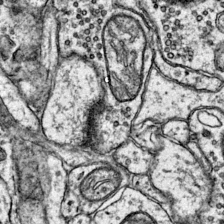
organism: Mouse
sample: Primary visual cortex